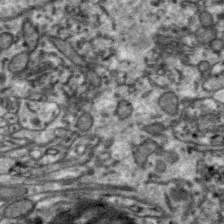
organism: Zebra finch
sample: Brain